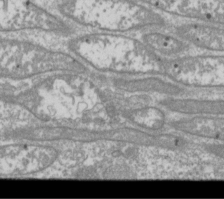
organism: Drosophila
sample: Cell division; meiosis; drosophila spermatocytes